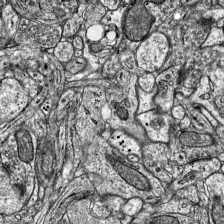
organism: Mouse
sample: Visual Cortex